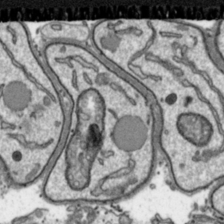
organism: Toxoplasma gondii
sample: Parasites in a vacuole inside a host cell